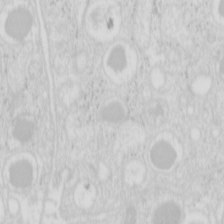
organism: Mouse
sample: Pancreas